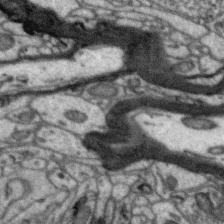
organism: Zebra finch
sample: Brain